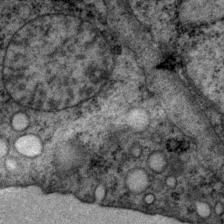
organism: P. pacificus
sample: Pharynx